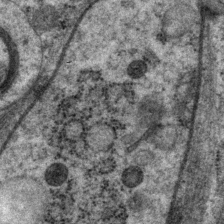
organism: P. pacificus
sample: Pharynx